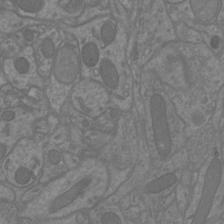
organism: Mouse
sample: Cortical neurons